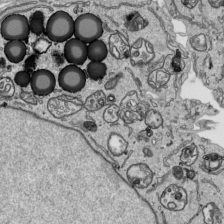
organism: Human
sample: Mitochondria in HCT116 cells